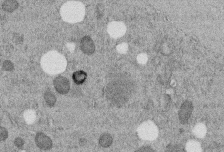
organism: C. elegans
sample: C. elegans embryo early stage